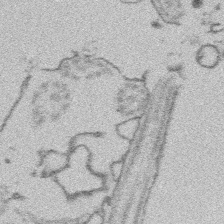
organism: Platynereis dumerilii